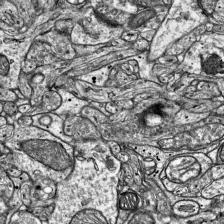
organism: Mouse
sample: Visual Cortex